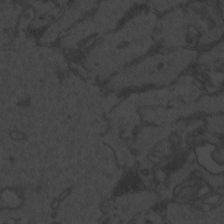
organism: Zebrafish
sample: Macrophage infected with Toxoplasma gondii